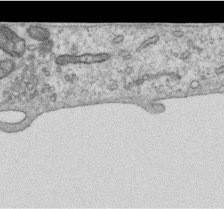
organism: Human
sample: Centriole in RPE cells